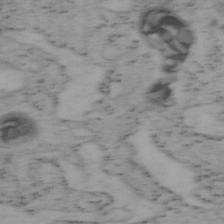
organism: Mouse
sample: OT-I killer T cells with ID8 ovarian cancer cells